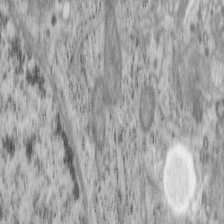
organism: Human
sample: HeLa cells